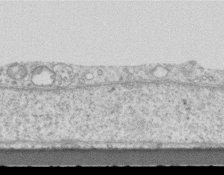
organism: Mouse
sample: Centriole in ependymal cells